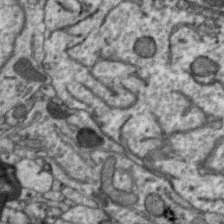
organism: Zebra finch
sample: Brain